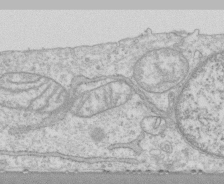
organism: Human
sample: CRL-1474